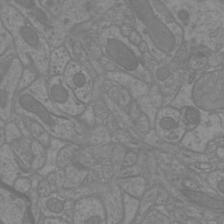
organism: Mouse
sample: Cortical neurons